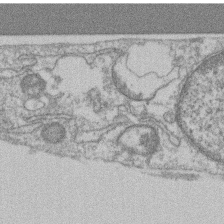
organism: Mouse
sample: T cell stromal cell synapse